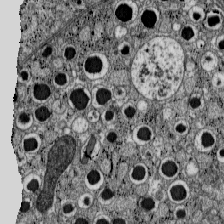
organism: C57BL Mouse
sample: Pancreatic islet